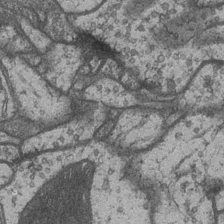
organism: Drosophila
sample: Optic medulla